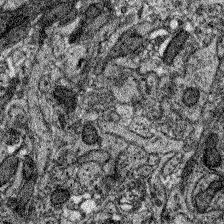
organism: Zebrafish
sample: Larval olfactory bulb